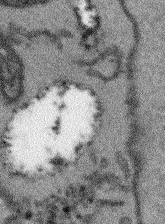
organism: Arabidopsis thaliana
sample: Root tip